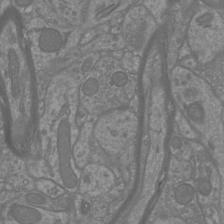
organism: Mouse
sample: Cortical neurons